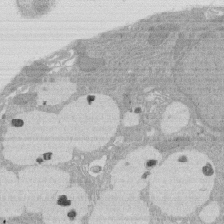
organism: Rat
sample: Salivary granule